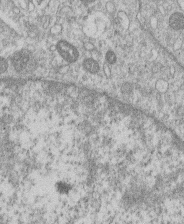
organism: Human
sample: Macrophage cells